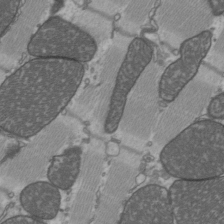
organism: C57BL Mouse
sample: Heart